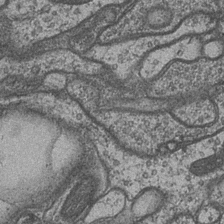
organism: Drosophila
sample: Optic medulla